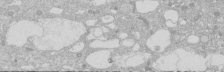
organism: Human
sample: Caco-2 cells